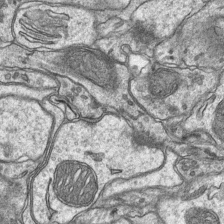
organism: Mouse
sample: CA1 Hippocampus